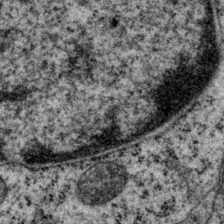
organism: P. pacificus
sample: Pharynx